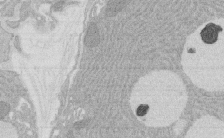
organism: Rat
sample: Salivary granule